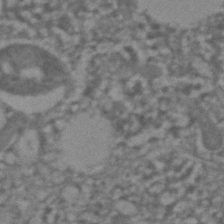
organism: C. elegans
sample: C. elegans embryo